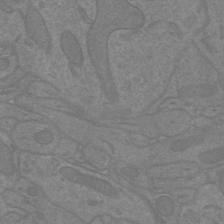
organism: Mouse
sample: Cortical neurons